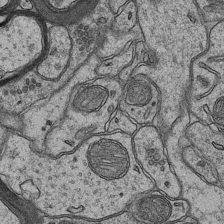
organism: Mouse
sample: CA1 Hippocampus